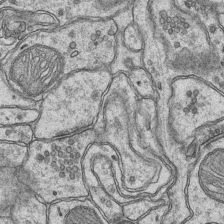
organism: Mouse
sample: CA1 Hippocampus